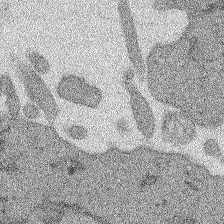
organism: Human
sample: HeLa cells